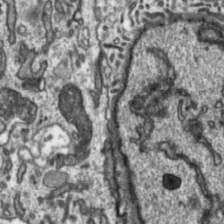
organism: Toxoplasma gondii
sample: Parasites in a vacuole inside a host cell